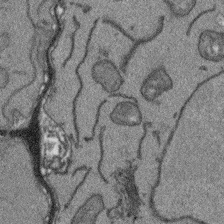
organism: Arabidopsis thaliana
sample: Root tip